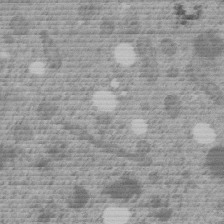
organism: C. elegans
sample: C. elegans embryo early stage